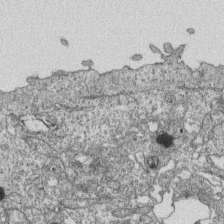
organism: Human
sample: HeLa cell HIV synapse